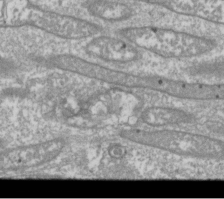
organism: Drosophila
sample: Cell division; meiosis; drosophila spermatocytes